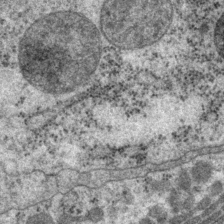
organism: P. pacificus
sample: Pharynx